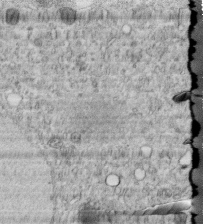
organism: C. elegans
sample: C. elegans embryo early stage